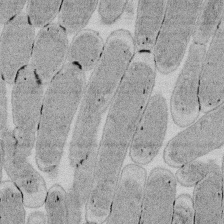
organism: E. coli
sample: Bacterial nucleoid